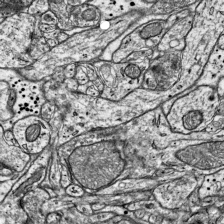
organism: Mouse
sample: Visual Cortex